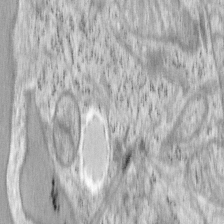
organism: Human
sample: HeLa cells